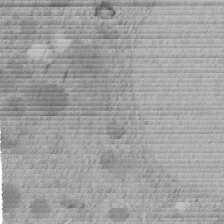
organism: C. elegans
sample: C. elegans embryo early stage